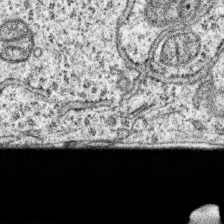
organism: Human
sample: HeLa cells